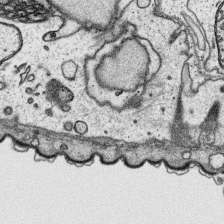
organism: Platynereis dumerilii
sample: Parapodia